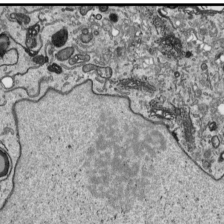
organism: Human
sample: Mitochondria in HCT116 cells